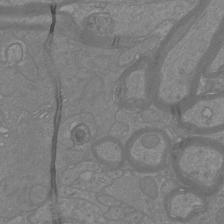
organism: Mouse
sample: Cortical neurons